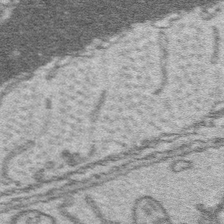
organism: Platynereis dumerilii